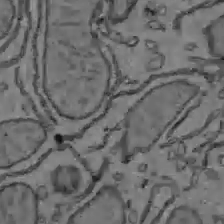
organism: C57BL Mouse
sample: Liver